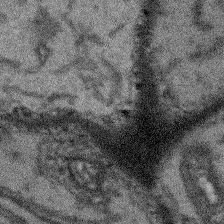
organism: Arabidopsis thaliana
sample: Root tip